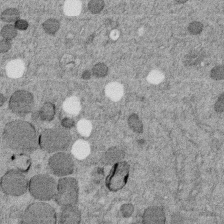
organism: C. elegans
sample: C. elegans embryo early stage